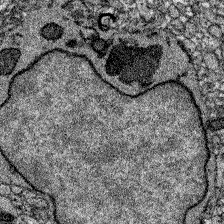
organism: Zebrafish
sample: Larval olfactory bulb